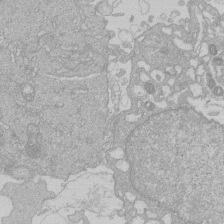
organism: Human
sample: Macrophage cells